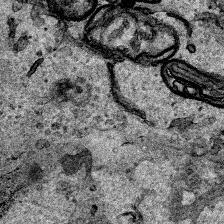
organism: Human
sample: Mitochondria in HCT116 cells